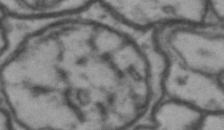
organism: Drosophila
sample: Brain